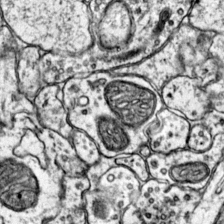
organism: Mouse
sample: Primary visual cortex